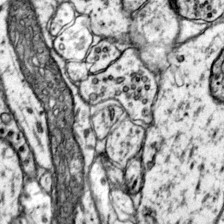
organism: Mouse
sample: Primary visual cortex